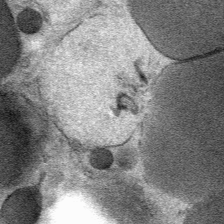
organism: Mouse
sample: Mouse Salivary gland